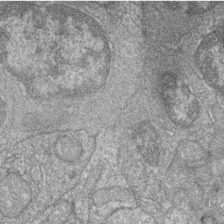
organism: Zebrafish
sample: Cilia; retinal pigment epithelium